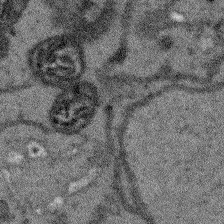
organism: Arabidopsis thaliana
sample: Root tip